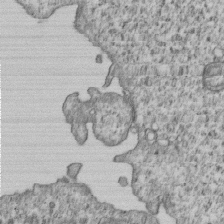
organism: Human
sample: MDA-MB-231 cells